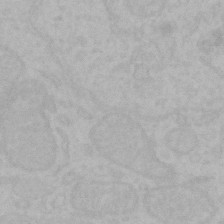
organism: Mouse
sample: Choroid plexus